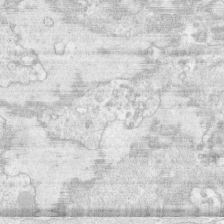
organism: Human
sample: CRL-1474